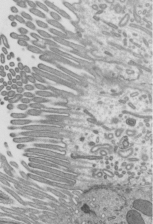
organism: Mouse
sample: Mouse epididymis efferent ductule cilia